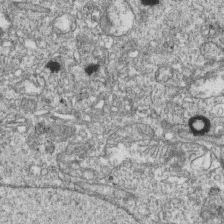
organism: Human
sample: HeLa cell HIV synapse